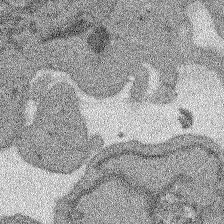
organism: Human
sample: HeLa cells